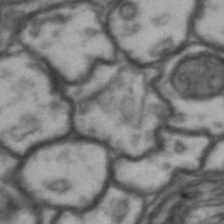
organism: Drosophila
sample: Brain